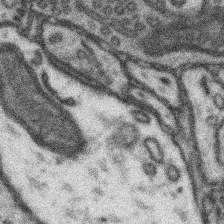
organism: Mouse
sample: Somatosensory cortex neuropil